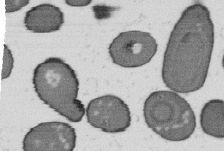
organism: B. subtilis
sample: Bacterial spore